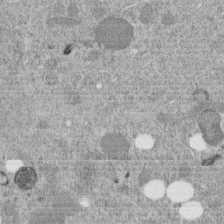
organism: C. elegans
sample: C. elegans embryo early stage